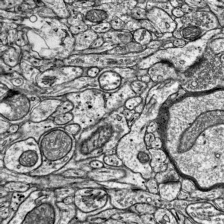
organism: Mouse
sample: Visual Cortex